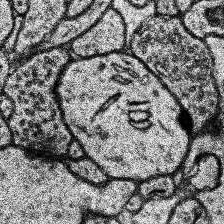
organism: Human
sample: Temporal Lobe